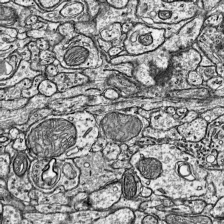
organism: Mouse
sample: Visual Cortex